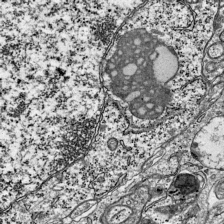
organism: Mouse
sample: Visual Cortex